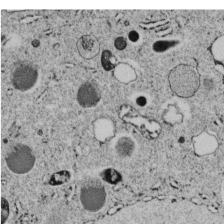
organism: C. elegans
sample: C. elegans embryo early stage